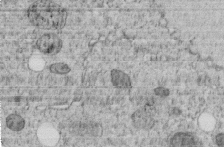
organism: C. elegans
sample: C. elegans embryo early stage